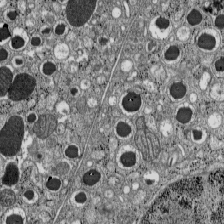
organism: C57BL Mouse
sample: Pancreatic islet